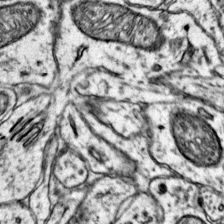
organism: Mouse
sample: Primary visual cortex